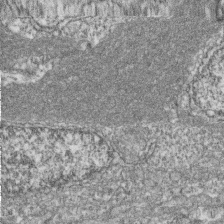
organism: Zebrafish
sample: Cilia; retinal pigment epithelium